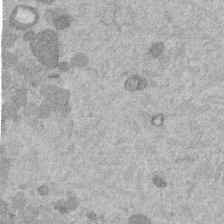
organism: Mouse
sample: Dividing mouse embryo 1 cell stage